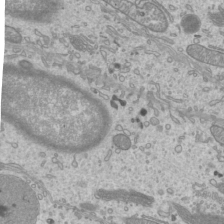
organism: Mouse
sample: Cilia; mouse epididymis